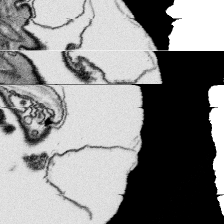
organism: Platynereis dumerilii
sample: Parapodia